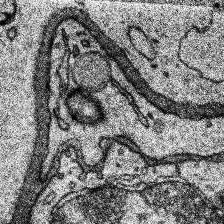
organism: Human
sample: Temporal Lobe